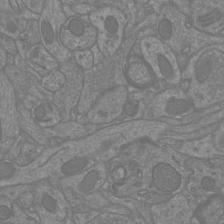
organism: Mouse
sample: Cortical neurons